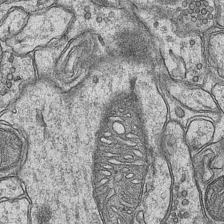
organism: Mouse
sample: CA1 Hippocampus